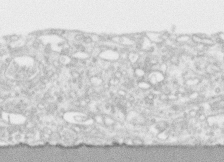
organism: Human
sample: CRL-1474